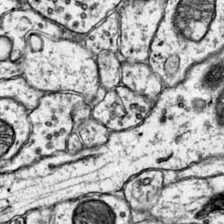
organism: Mouse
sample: Primary visual cortex